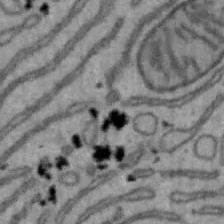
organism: Mouse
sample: Liver